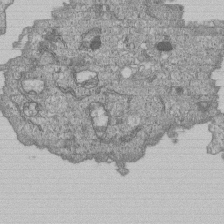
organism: Human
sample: MDA-MB-231 cells